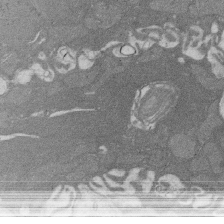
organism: Rat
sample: Salivary granule